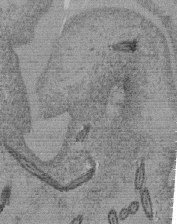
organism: Tetrahymena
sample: Cilia in tetrahymena